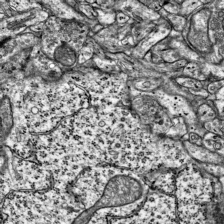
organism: Mouse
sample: Visual Cortex